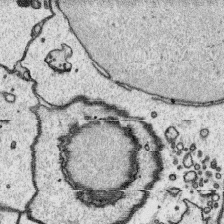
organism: Platynereis dumerilii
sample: Parapodia